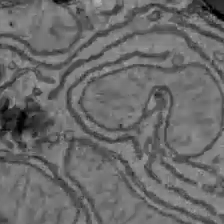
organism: C57BL Mouse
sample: Liver